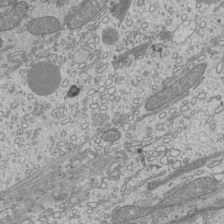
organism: Mouse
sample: Cilia; mouse epididymis